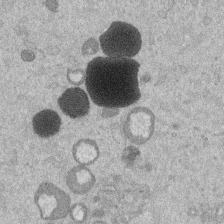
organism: Mouse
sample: Dividing mouse embryo 1 cell stage